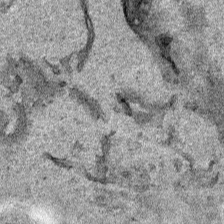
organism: Human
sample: Mitochondria in HCT116 cells